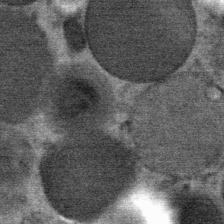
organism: Mouse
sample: Mouse Salivary gland